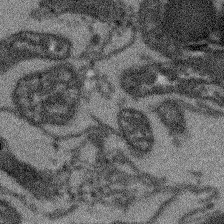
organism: Arabidopsis thaliana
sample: Root tip